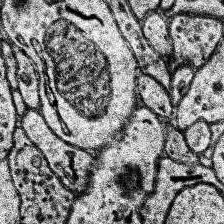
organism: Human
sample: Temporal Lobe